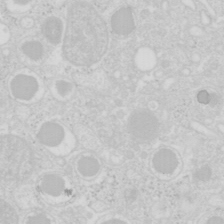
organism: Mouse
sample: Pancreas